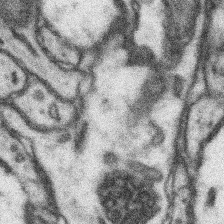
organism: Mouse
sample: Somatosensory cortex neuropil